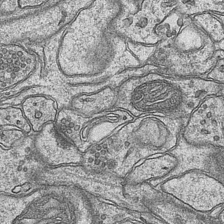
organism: Mouse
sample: CA1 Hippocampus